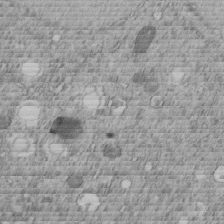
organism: C. elegans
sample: C. elegans embryo early stage